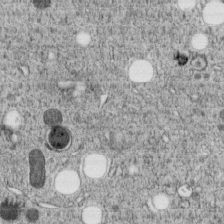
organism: C. elegans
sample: C. elegans embryo early stage